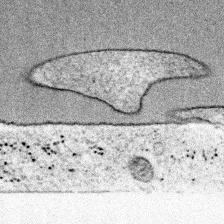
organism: Human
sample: HeLa cells